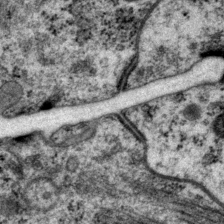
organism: P. pacificus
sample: Pharynx